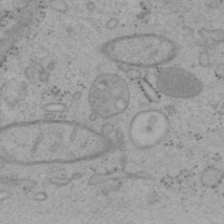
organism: Human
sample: HeLa cells